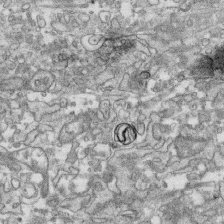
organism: Human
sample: CRL-1474